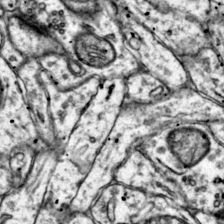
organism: Mouse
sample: Primary visual cortex